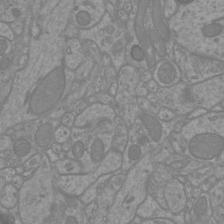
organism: Mouse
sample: Cortical neurons